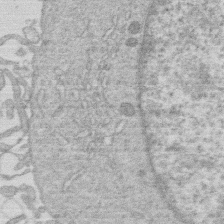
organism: Human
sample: Macrophage cells